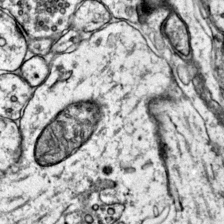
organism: Mouse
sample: Primary visual cortex